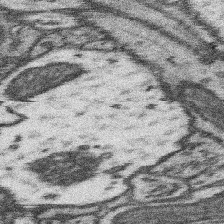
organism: Mouse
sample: Somatosensory cortex neuropil